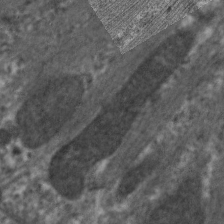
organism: C. elegans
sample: Pharynx